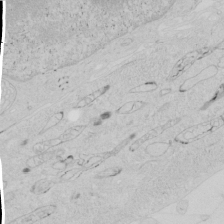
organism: Human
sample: Mitochondria in HCT116 cells